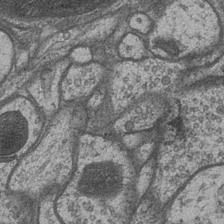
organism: Drosophila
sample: Optic medulla